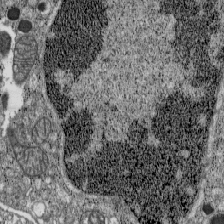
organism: C57BL Mouse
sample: Pancreatic islet